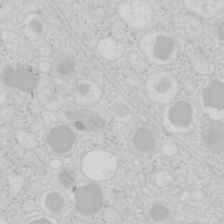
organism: Mouse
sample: Pancreas